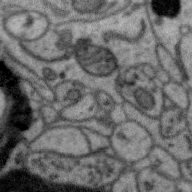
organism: Zebra finch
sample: Brain